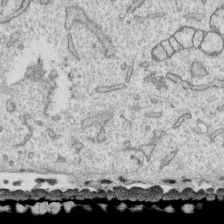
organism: Human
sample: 1205lu cells